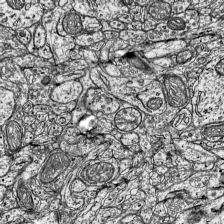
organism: Mouse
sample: Visual Cortex